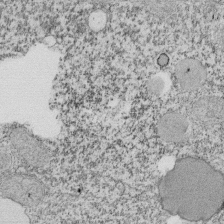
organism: Tetrahymena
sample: Cilia in tetrahymena